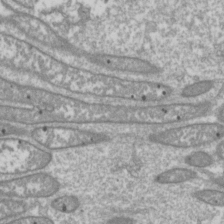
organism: Drosophila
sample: Cell division; meiosis; drosophila spermatocytes